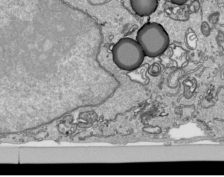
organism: Human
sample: Mitochondria in HCT116 cells